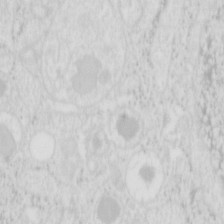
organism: Mouse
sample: Pancreas